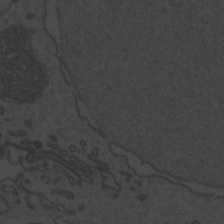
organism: Zebrafish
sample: Macrophage infected with Toxoplasma gondii